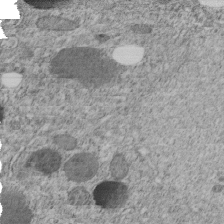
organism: C. elegans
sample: C. elegans embryo early stage